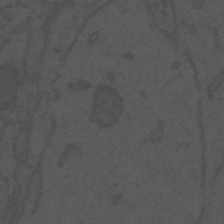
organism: Mouse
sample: Suprachiasmatic nucleus